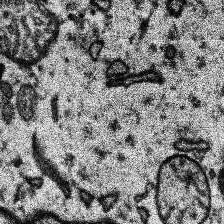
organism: Human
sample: Temporal Lobe